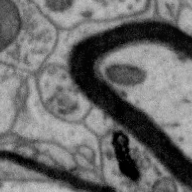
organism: Zebra finch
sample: Brain